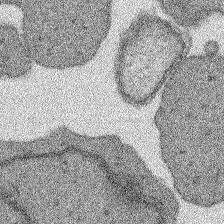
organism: Human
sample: HeLa cells